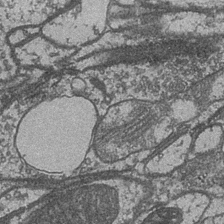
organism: Drosophila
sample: Optic medulla